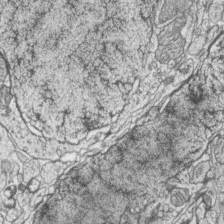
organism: Zebrafish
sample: synaptic ribbons in rod cells and cone cells